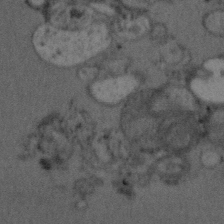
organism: Human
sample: HeLa cells